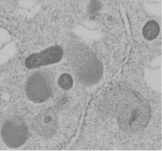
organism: C. elegans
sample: C. elegans embryo early stage